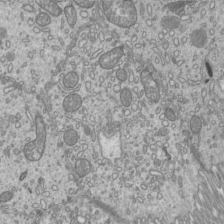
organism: Mouse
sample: Cilia; mouse epididymis